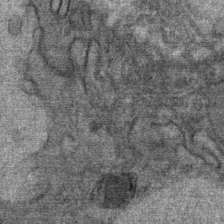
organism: Mouse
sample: Mouse Salivary gland